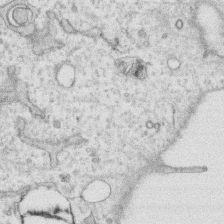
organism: Human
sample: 1205lu cells